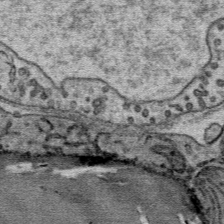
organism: Mouse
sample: Mouse Salivary gland